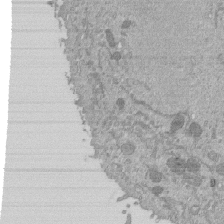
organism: Mouse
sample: ED-1 cell nuclei; centrioles